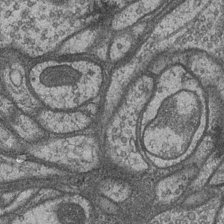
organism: Drosophila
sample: Optic medulla